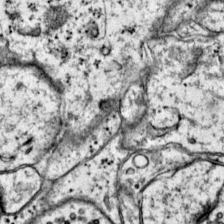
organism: Mouse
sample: Primary visual cortex